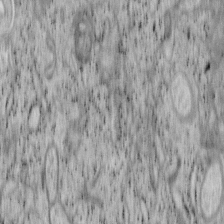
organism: Human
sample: HeLa cells